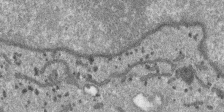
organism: Human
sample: Lung epithelial cells infected with SARS-CoV-2